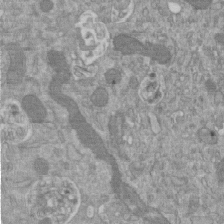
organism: Mouse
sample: ED-1 cell nuclei; centrioles